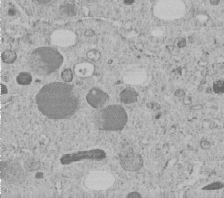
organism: C. elegans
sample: C. elegans embryo early stage